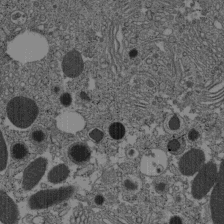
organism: C57BL Mouse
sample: Pancreatic islet